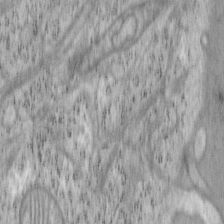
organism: Human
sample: HeLa cells